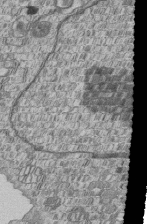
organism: Human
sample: MDA-MB-231 cells